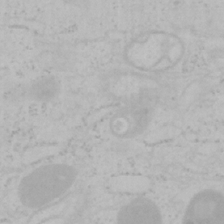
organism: Human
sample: HeLa cells